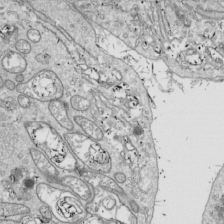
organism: Drosophila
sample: Cell division; meiosis; drosophila spermatocytes